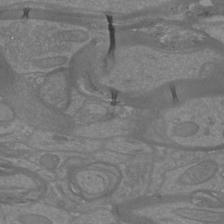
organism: Mouse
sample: Cortical neurons